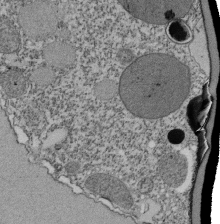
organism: Tetrahymena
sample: Cilia in tetrahymena